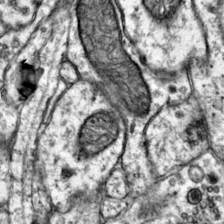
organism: Mouse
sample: Primary visual cortex